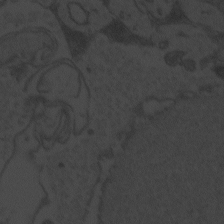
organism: Zebrafish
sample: Macrophage infected with Toxoplasma gondii